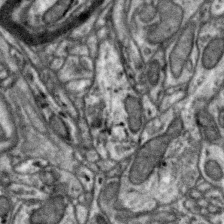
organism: Zebra finch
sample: Brain